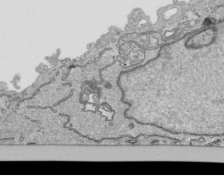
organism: Human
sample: Mitochondria in HCT116 cells